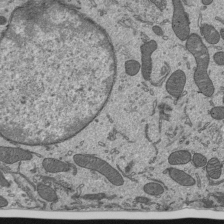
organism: Mouse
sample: Mouse epididymis efferent ductule cilia